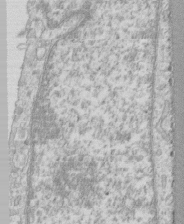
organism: Human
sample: CRL-1474